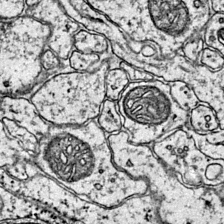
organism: Mouse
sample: Primary visual cortex